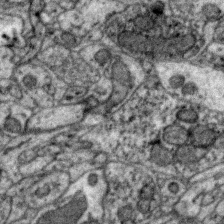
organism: Zebra finch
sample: Brain